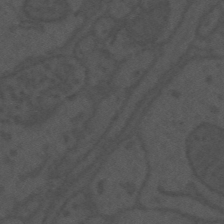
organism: Mouse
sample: Suprachiasmatic nucleus